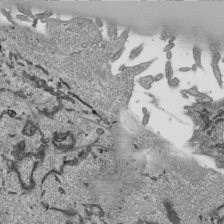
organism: Human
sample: Mitochondria in HCT116 cells